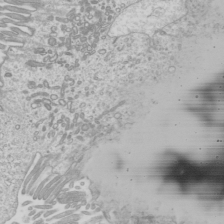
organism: Mouse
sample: Cilia; mouse epididymis